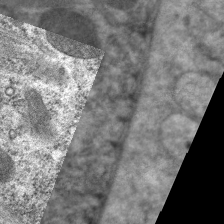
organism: C. elegans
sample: Pharynx